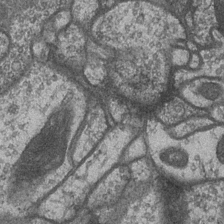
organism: Drosophila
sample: Optic medulla